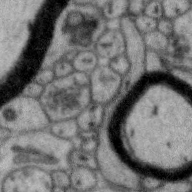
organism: Zebra finch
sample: Brain